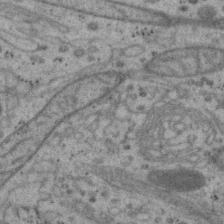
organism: Human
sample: HeLa cells